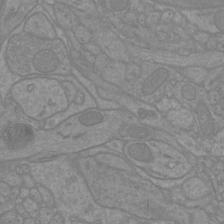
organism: Mouse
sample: Cortical neurons